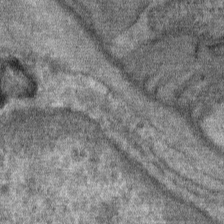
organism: Mouse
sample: Mouse Salivary gland